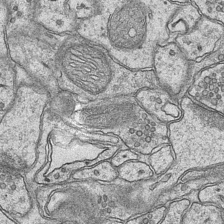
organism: Mouse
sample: CA1 Hippocampus